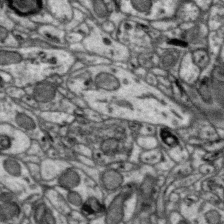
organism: Zebra finch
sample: Brain